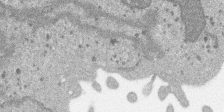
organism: Human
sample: Lung epithelial cells infected with SARS-CoV-2